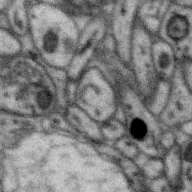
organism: Zebra finch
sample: Brain